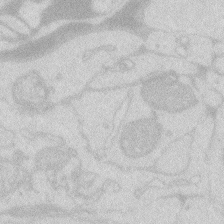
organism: Zebrafish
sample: Macrophage